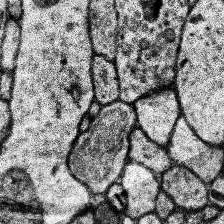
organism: Human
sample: Temporal Lobe